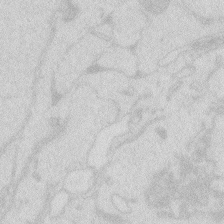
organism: Zebrafish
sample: Macrophage